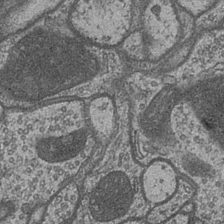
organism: Drosophila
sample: Optic medulla